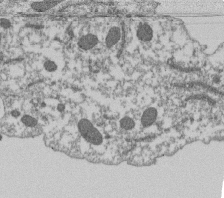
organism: Dictyostelium discoideum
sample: Dictyostelium multivesicular bodies